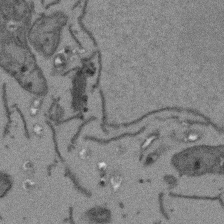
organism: Arabidopsis thaliana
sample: Root tip